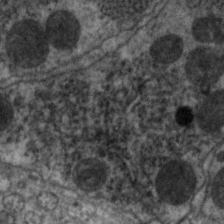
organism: C. elegans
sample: Pharynx